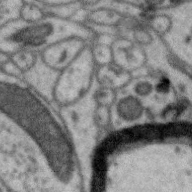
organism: Zebra finch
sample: Brain